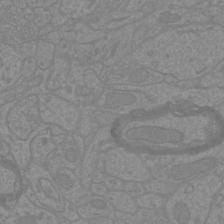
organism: Mouse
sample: Cortical neurons